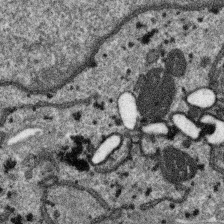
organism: Human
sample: Lung epithelial cells infected with SARS-CoV-2